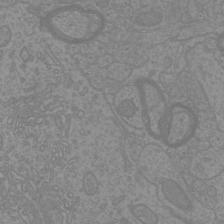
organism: Mouse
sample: Cortical neurons